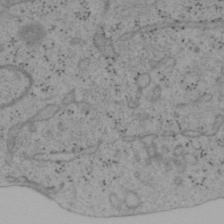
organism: Human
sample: HeLa cells